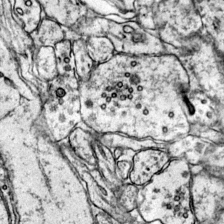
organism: Mouse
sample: Primary visual cortex